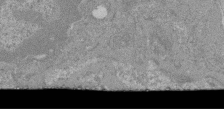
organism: Mouse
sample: Glomerulus